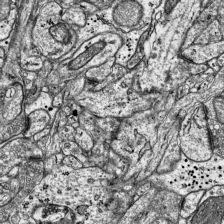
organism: Mouse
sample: Visual Cortex